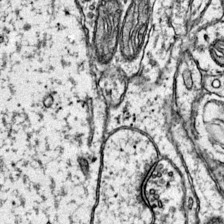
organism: Mouse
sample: Primary visual cortex